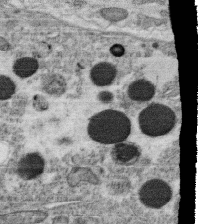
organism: C. elegans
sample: C. elegans oocyte; sperm cells